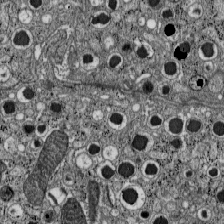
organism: C57BL Mouse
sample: Pancreatic islet